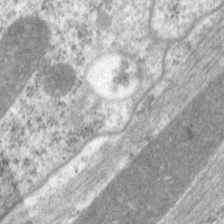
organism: P. pacificus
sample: Pharynx